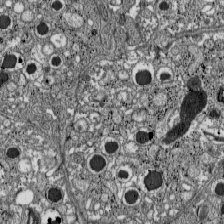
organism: C57BL Mouse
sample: Pancreatic islet